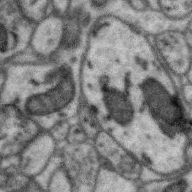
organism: Zebra finch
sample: Brain